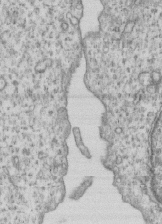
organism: Human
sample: MDA-MB-231 cells